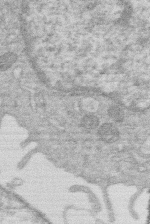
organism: Human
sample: Macrophage cells